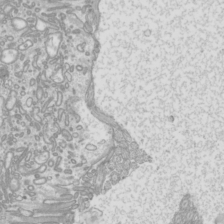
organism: Mouse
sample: Cilia; mouse epididymis